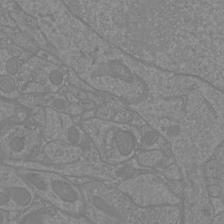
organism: Mouse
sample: Cortical neurons